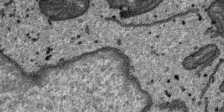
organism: Human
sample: Lung epithelial cells, uninfected (mock) control